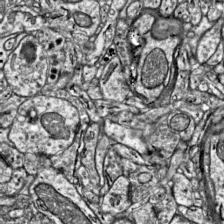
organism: Mouse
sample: Visual Cortex